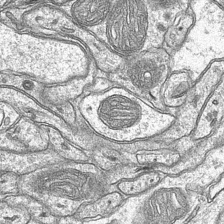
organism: Mouse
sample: CA1 Hippocampus